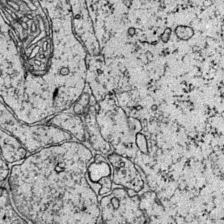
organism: Mouse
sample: Primary visual cortex